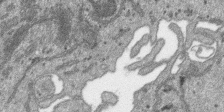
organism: Human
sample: Lung epithelial cells infected with SARS-CoV-2